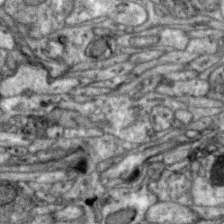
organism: Zebra finch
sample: Brain